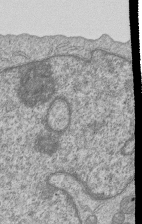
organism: Human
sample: MDA-MB-231 cells